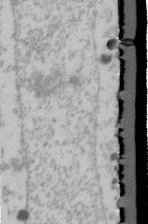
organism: Human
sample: U2-OS cells